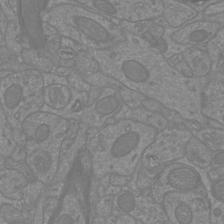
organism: Mouse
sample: Cortical neurons